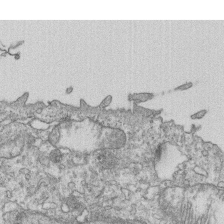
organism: Human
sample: HeLa cell HIV synapse